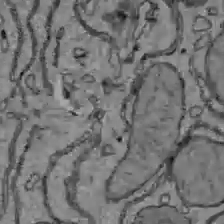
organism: C57BL Mouse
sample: Liver